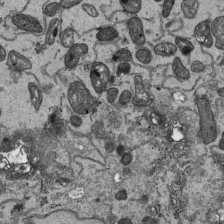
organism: Human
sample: Mitochondria in HCT116 cells